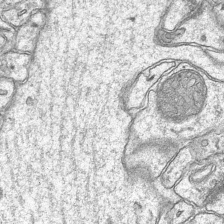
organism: Mouse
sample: CA1 Hippocampus